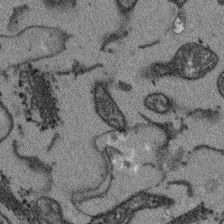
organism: Arabidopsis thaliana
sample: Root tip